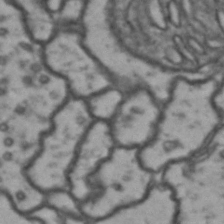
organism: Drosophila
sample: Brain